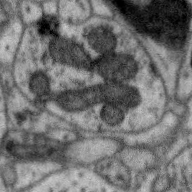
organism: Zebra finch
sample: Brain